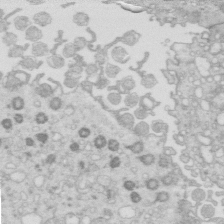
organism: Mouse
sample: Multiciliated cells